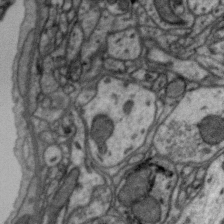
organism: Zebra finch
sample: Brain